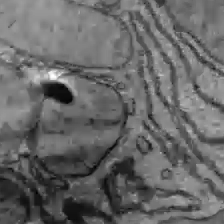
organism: C57BL Mouse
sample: Liver